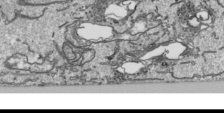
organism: Human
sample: Mitochondria in HCT116 cells